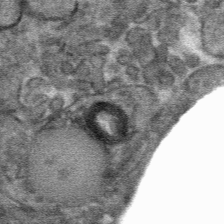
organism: Mouse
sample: Mouse hepatocytes